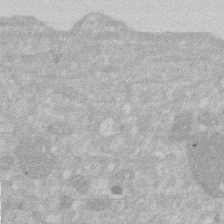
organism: Human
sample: HIV infected U937 cells